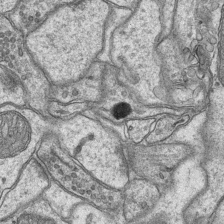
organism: Mouse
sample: CA1 Hippocampus